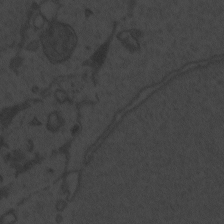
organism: Zebrafish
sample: Macrophage infected with Toxoplasma gondii